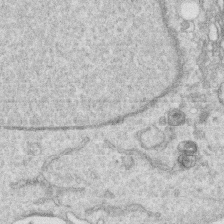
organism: Human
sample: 1205lu cells